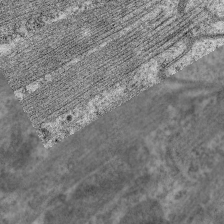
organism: C. elegans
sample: Pharynx